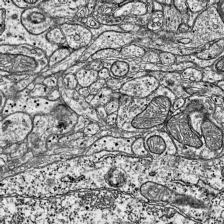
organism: Mouse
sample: Visual Cortex